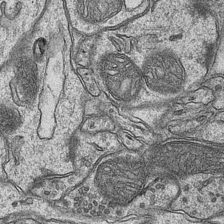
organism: Mouse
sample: CA1 Hippocampus